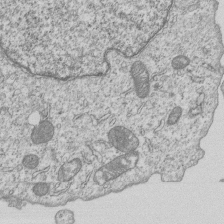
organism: Human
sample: MDA-MB-231 cells